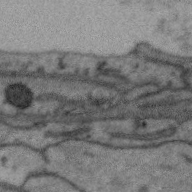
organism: Zebra finch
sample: Brain